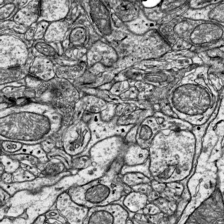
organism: Mouse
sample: Visual Cortex